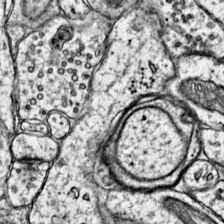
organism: Mouse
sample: Primary visual cortex